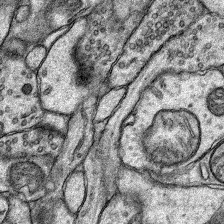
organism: Rat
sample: Hippocampus